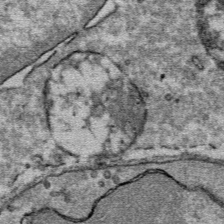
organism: Mouse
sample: Mouse Salivary gland